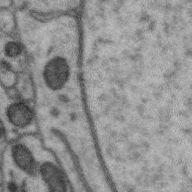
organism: Zebra finch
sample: Brain